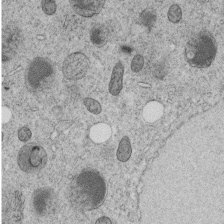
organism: C. elegans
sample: C. elegans embryo early stage